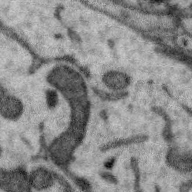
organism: Zebra finch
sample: Brain